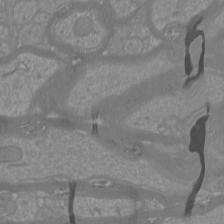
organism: Mouse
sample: Cortical neurons